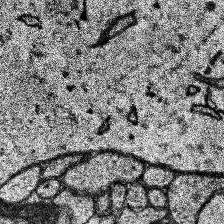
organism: Human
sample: Temporal Lobe